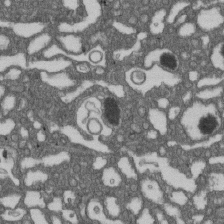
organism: Drosophila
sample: Nephrocyte